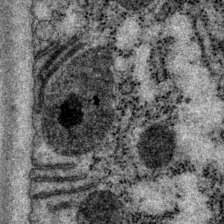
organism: P. pacificus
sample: Pharynx